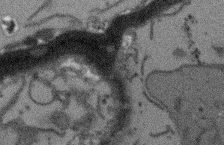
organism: Arabidopsis thaliana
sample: Root tip